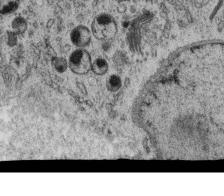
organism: C. elegans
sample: C. elegans oocyte; sperm cells